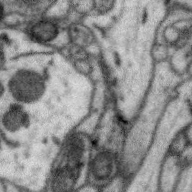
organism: Zebra finch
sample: Brain